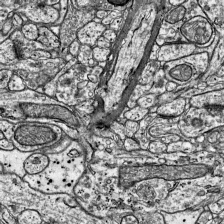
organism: Mouse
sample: Visual Cortex